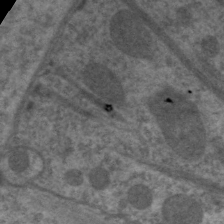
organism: C. elegans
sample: Pharynx